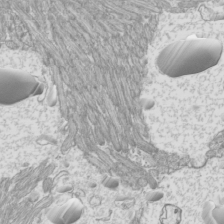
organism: Mouse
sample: Cilia; mouse epididymis